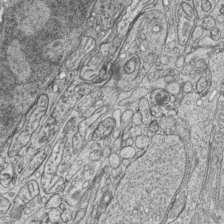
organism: Zebrafish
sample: synaptic ribbons in rod cells and cone cells